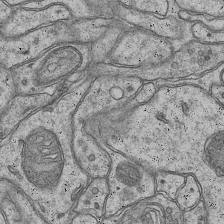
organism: Mouse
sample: CA1 Hippocampus